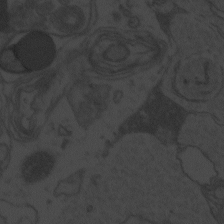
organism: Zebrafish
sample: Macrophage infected with Toxoplasma gondii